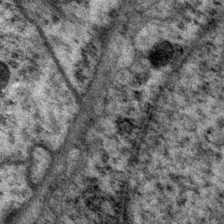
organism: P. pacificus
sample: Pharynx